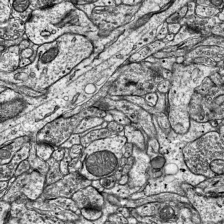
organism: Mouse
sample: Visual Cortex